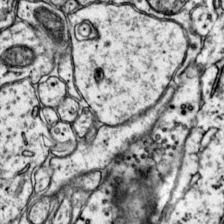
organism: Mouse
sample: Primary visual cortex